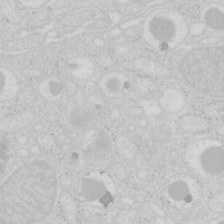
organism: Mouse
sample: Pancreas